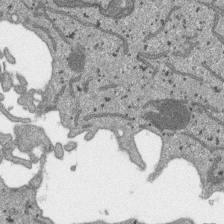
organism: Human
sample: Lung epithelial cells infected with SARS-CoV-2